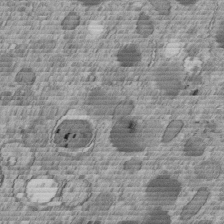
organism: C. elegans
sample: C. elegans embryo early stage